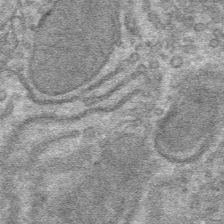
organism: Mouse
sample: Mouse hepatocytes